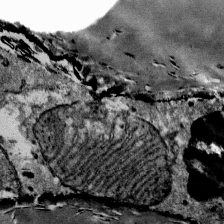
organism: Mouse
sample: Mouse Salivary gland